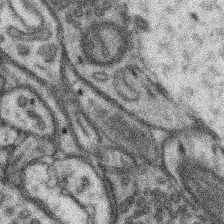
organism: Mouse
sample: Somatosensory cortex neuropil